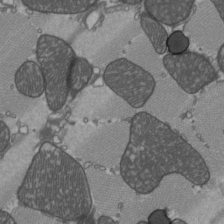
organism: C57BL Mouse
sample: Heart